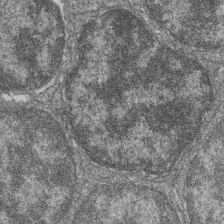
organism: Zebrafish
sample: Cilia; retinal pigment epithelium